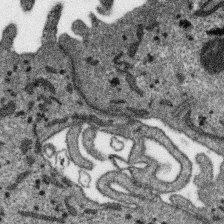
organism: Human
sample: Lung epithelial cells infected with SARS-CoV-2